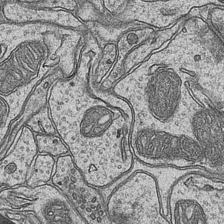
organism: Mouse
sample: CA1 Hippocampus